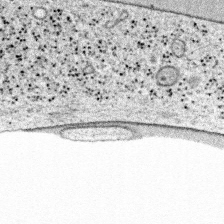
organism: Human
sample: HeLa cells